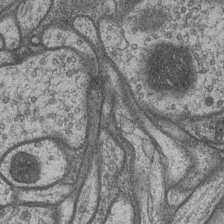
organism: Drosophila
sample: Optic medulla